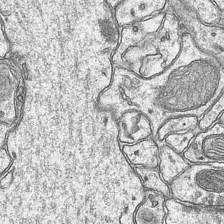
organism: Mouse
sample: CA1 Hippocampus